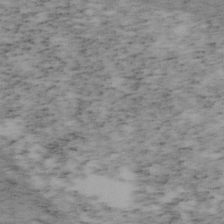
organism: Mouse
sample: OT-I killer T cells with ID8 ovarian cancer cells